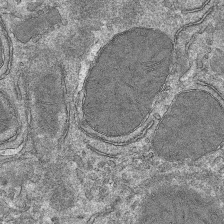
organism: Mouse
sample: Mouse hepatocytes